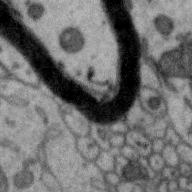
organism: Zebra finch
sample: Brain